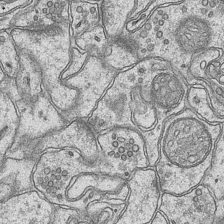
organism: Mouse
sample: CA1 Hippocampus